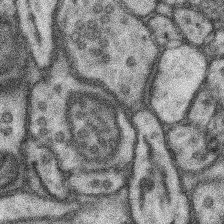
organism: Mouse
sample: Somatosensory cortex neuropil